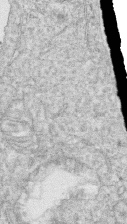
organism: Human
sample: HeLa cell HIV synapse